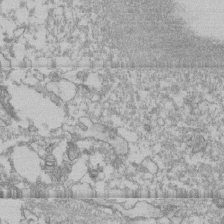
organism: Human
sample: CRL-1474